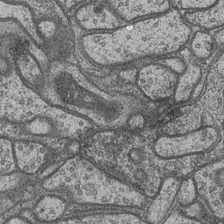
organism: Drosophila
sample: Optic medulla